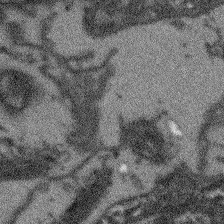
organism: Arabidopsis thaliana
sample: Root tip